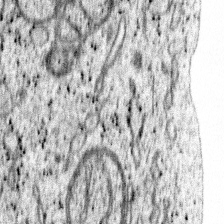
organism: Human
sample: HeLa cells